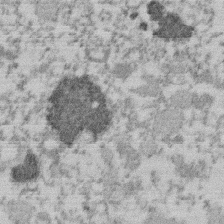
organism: Mouse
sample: Dividing mouse embryo 1 cell stage